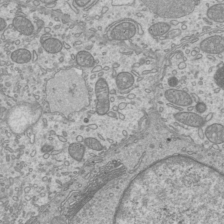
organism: Mouse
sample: Cilia; mouse epididymis